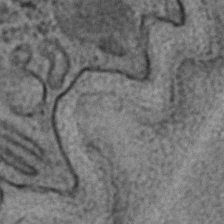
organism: C. elegans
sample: C. elegans embryo